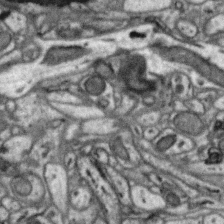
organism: Zebra finch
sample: Brain